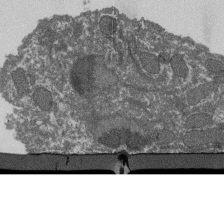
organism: Dictyostelium discoideum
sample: Dictyostelium multivesicular bodies